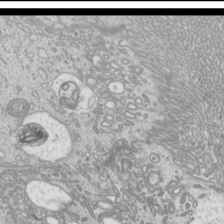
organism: Mouse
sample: Cilia; mouse epididymis